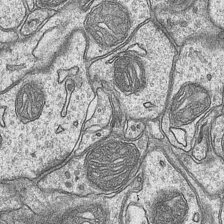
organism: Mouse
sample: CA1 Hippocampus